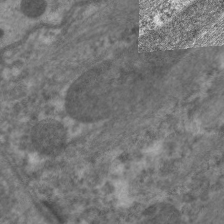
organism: C. elegans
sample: Pharynx